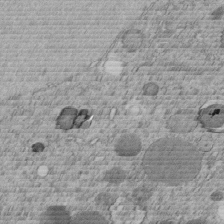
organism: C. elegans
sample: C. elegans embryo early stage